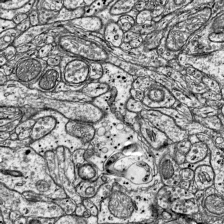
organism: Mouse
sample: Visual Cortex